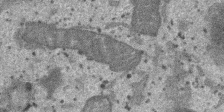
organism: Human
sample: Lung epithelial cells infected with SARS-CoV-2